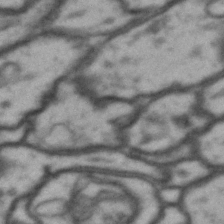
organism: Drosophila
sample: Brain